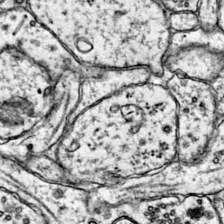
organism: Mouse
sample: Primary visual cortex